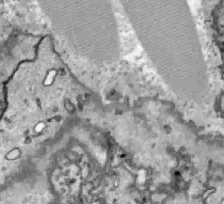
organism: Zebrafish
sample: Actinotrichia fibers